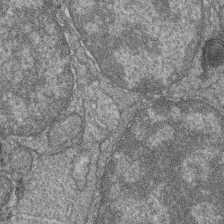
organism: Zebrafish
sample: Cilia; retinal pigment epithelium